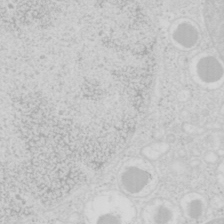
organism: Mouse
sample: Pancreas